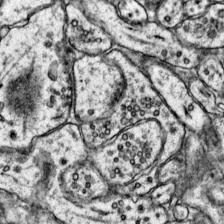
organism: Mouse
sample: Primary visual cortex